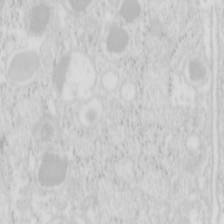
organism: Mouse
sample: Pancreas